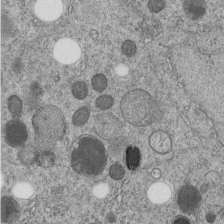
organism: C. elegans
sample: C. elegans embryo early stage